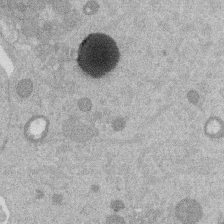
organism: Mouse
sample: Dividing mouse embryo 1 cell stage